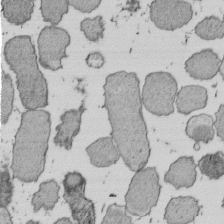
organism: E. coli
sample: Bacterial nucleoid